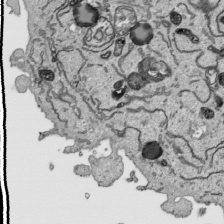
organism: Human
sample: Mitochondria in HCT116 cells